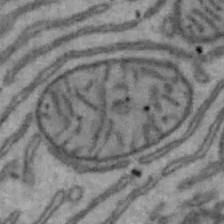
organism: Mouse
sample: Liver